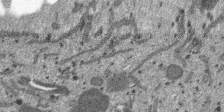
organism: Human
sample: Lung epithelial cells infected with SARS-CoV-2